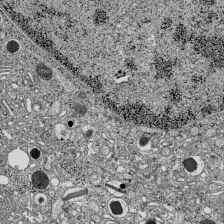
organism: C57BL Mouse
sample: Pancreatic islet